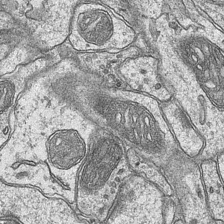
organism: Mouse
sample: CA1 Hippocampus